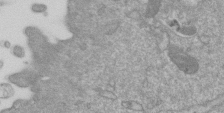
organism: Mouse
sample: ED-1 cell nuclei; centrioles